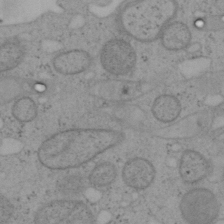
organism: Mouse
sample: OT-I killer T cells with ID8 ovarian cancer cells